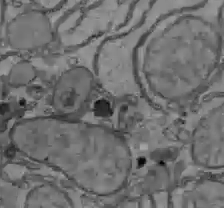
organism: C57BL Mouse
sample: Liver